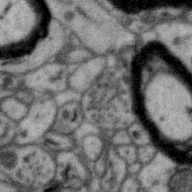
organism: Zebra finch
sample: Brain